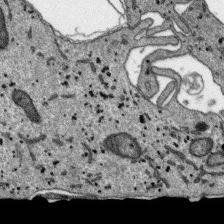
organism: Human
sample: Lung epithelial cells, uninfected (mock) control